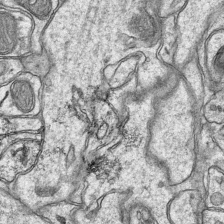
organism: Mouse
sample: CA1 Hippocampus